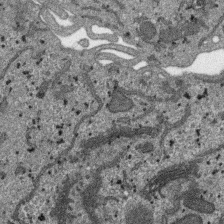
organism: Human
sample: Lung epithelial cells infected with SARS-CoV-2